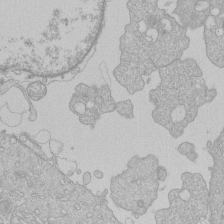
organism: Human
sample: Macrophage cells